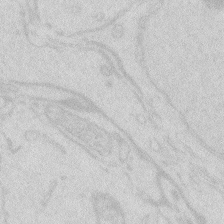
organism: Zebrafish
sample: Macrophage